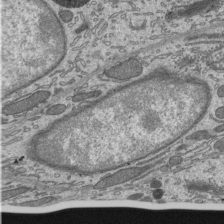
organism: Mouse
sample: Mouse epididymis efferent ductule cilia